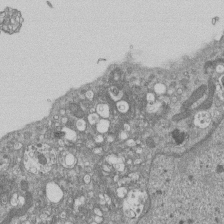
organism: Mouse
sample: ED-1 cell nuclei; centrioles